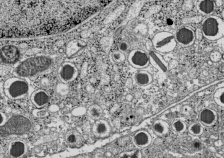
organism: C57BL Mouse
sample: Pancreatic islet